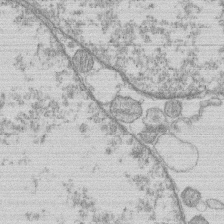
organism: Human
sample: Macrophage cells